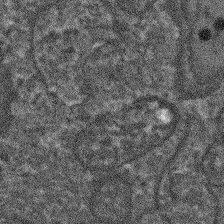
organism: Arabidopsis thaliana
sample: Root tip